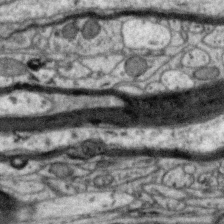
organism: Zebra finch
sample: Brain